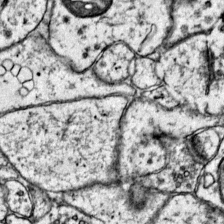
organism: Mouse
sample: Primary visual cortex